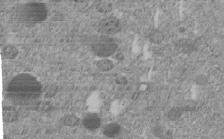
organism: C. elegans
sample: C. elegans embryo early stage